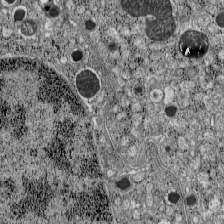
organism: C57BL Mouse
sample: Pancreatic islet